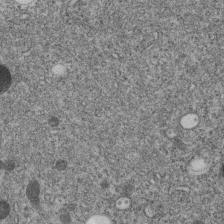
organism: C. elegans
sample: C. elegans embryo early stage